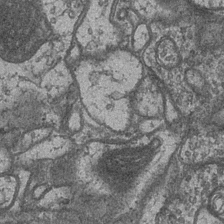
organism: Drosophila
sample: Optic medulla